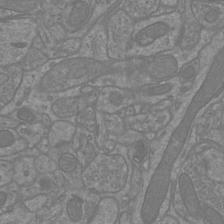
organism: Mouse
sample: Cortical neurons